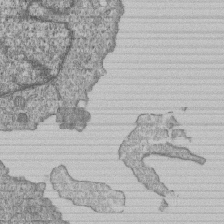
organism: Human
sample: MDA-MB-231 cells